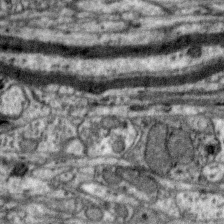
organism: Zebra finch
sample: Brain